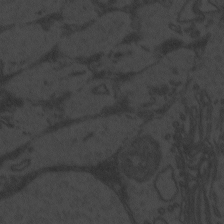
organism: Zebrafish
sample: Macrophage infected with Toxoplasma gondii